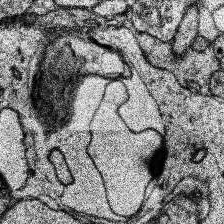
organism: Human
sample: Temporal Lobe